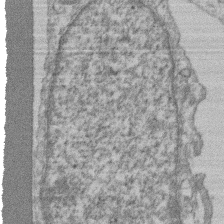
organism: Mouse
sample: T cell stromal cell synapse